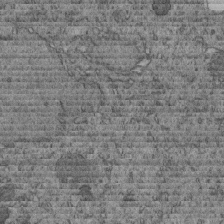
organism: C. elegans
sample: C. elegans embryo early stage